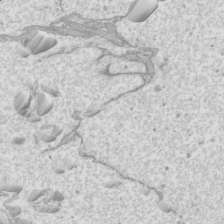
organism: Mouse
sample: Cilia; mouse epididymis